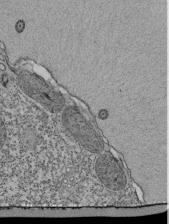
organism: Tetrahymena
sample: Cilia in tetrahymena